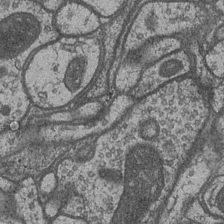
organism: Drosophila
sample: Optic medulla